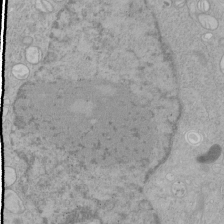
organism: Human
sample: Mitochondria in HCT116 cells